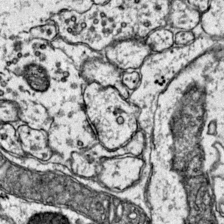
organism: Mouse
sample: Primary visual cortex